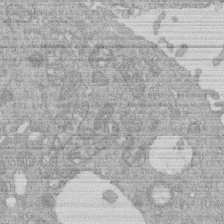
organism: Human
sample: Macrophage cells